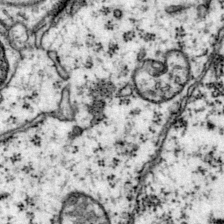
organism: Mouse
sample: Primary visual cortex